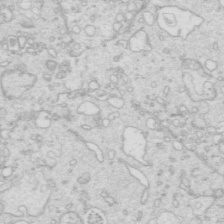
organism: Mouse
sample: Multiciliated cells